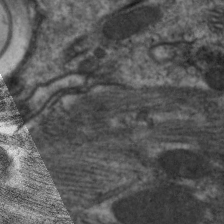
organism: C. elegans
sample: Pharynx